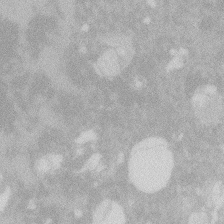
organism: Zebrafish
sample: Macrophage